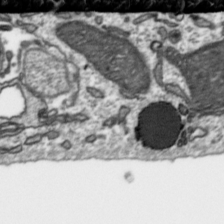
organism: Toxoplasma gondii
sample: Parasites in a vacuole inside a host cell